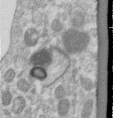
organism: Human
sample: Centriole in RPE cells